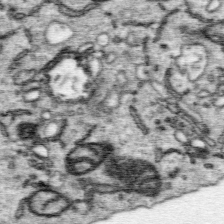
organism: Human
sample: HeLa cells